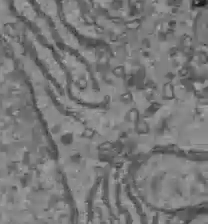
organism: C57BL Mouse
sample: Liver